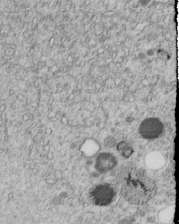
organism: C. elegans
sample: C. elegans embryo early stage